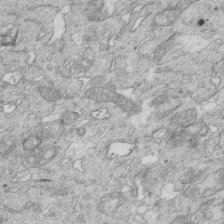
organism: Mouse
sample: Multiciliated cells